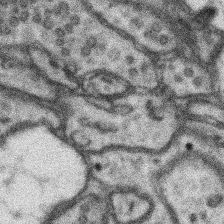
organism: Mouse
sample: Somatosensory cortex neuropil